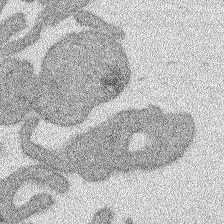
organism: Human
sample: HeLa cells